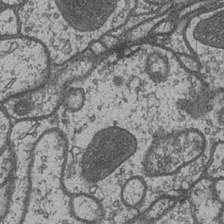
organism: Drosophila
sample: Optic medulla